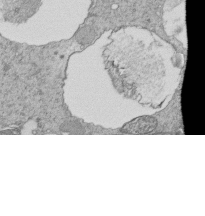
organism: Tetrahymena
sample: Cilia in tetrahymena